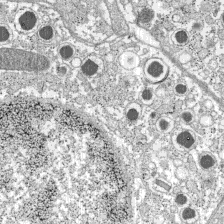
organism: C57BL Mouse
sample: Pancreatic islet